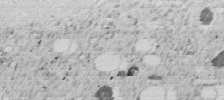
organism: C. elegans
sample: C. elegans embryo early stage